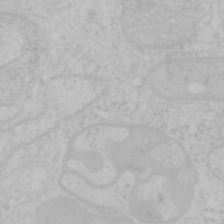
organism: Mouse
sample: OT-I killer T cells with ID8 ovarian cancer cells